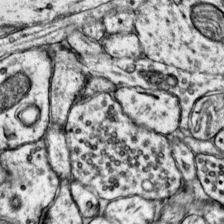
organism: Mouse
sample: Primary visual cortex